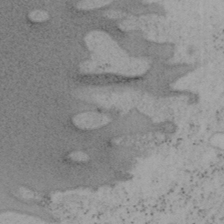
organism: Mouse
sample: OT-I killer T cells with ID8 ovarian cancer cells